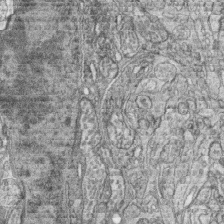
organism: Zebrafish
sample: synaptic ribbons in rod cells and cone cells